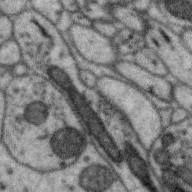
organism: Zebra finch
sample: Brain